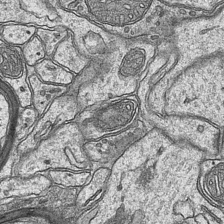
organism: Mouse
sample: CA1 Hippocampus